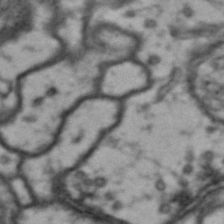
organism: Drosophila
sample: Brain